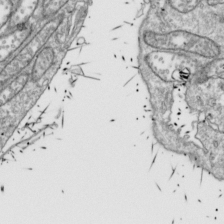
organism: Drosophila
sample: Cell division; meiosis; drosophila spermatocytes